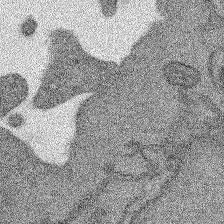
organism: Human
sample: HeLa cells